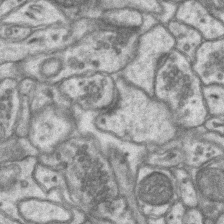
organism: Mouse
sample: CA1 Hippocampus